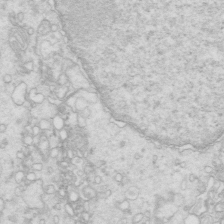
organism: Mouse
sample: Multiciliated cells